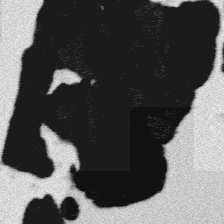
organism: Platynereis dumerilii